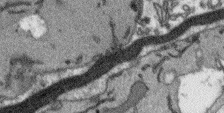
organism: Arabidopsis thaliana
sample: Root tip